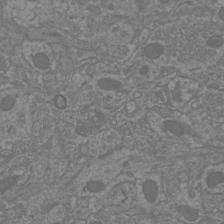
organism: Mouse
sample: Cortical neurons